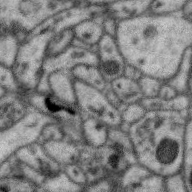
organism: Zebra finch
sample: Brain